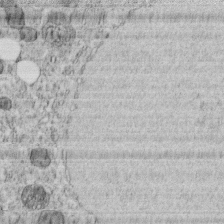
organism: C. elegans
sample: C. elegans embryo early stage